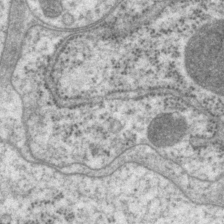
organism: P. pacificus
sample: Pharynx